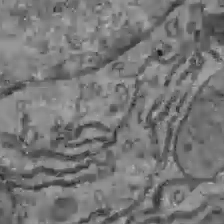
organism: C57BL Mouse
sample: Liver